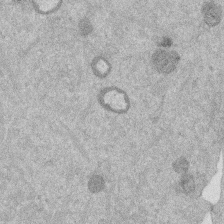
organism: Mouse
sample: Dividing mouse embryo 1 cell stage